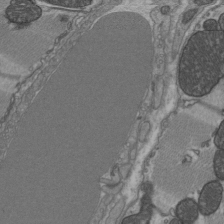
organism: C57BL Mouse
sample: Heart